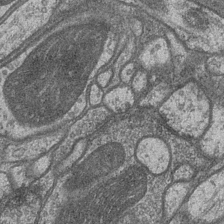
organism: Drosophila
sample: Optic medulla